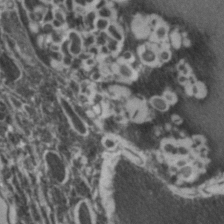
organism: Zebrafish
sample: Zebrafish embryo